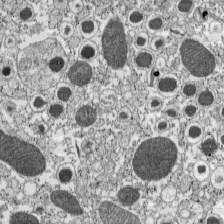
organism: C57BL Mouse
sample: Pancreatic islet